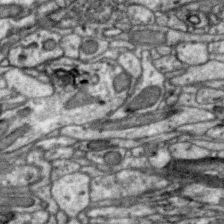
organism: Zebra finch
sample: Brain